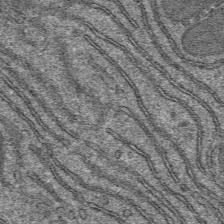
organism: Mouse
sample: Mouse hepatocytes